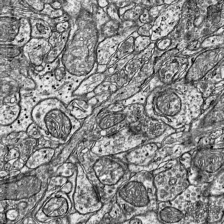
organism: Mouse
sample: Visual Cortex